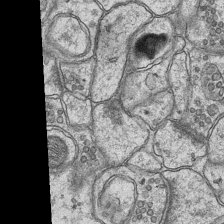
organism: Mouse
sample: CA1 Hippocampus